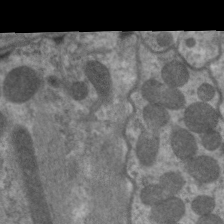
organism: C. elegans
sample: Pharynx